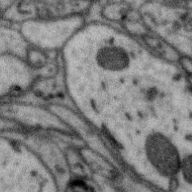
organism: Zebra finch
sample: Brain